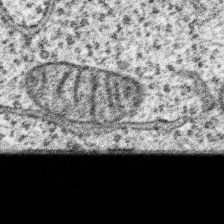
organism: Human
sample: HeLa cells